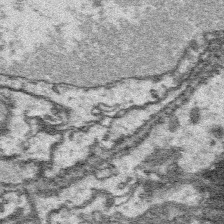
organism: Platynereis dumerilii